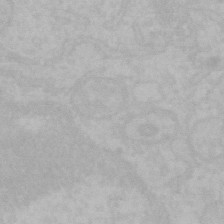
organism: Mouse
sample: Choroid plexus